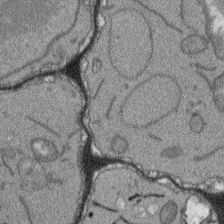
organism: Arabidopsis thaliana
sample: Root tip